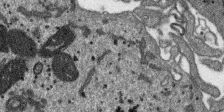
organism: Human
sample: Lung epithelial cells infected with SARS-CoV-2